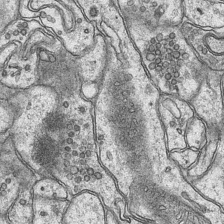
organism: Mouse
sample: CA1 Hippocampus